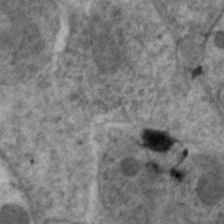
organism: C. elegans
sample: Pharynx